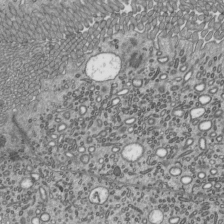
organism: Mouse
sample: Mouse epididymis efferent ductule cilia